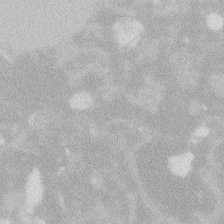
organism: Zebrafish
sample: Macrophage